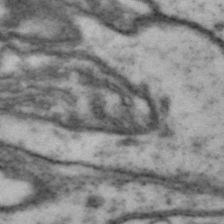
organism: Drosophila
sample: Brain